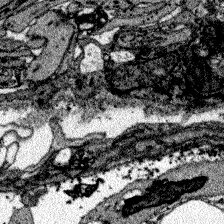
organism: Zebrafish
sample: Larval olfactory bulb